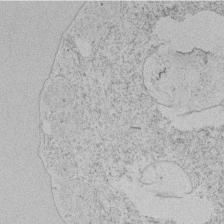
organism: Tetrahymena